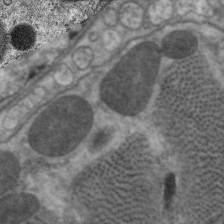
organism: C. elegans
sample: Pharynx